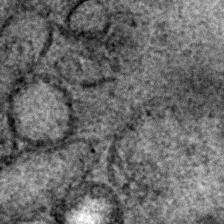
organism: C. elegans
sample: C. elegans embryo